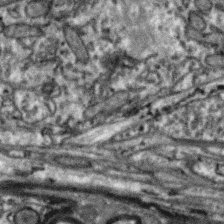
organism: Zebra finch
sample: Brain